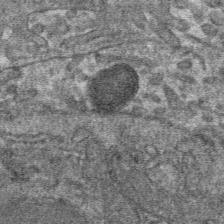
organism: Mouse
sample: Mouse hepatocytes